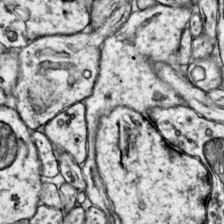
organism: Mouse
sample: Primary visual cortex